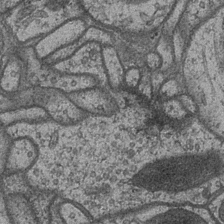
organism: Drosophila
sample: Optic medulla